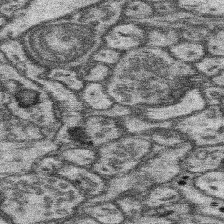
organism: Mouse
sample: Somatosensory cortex neuropil